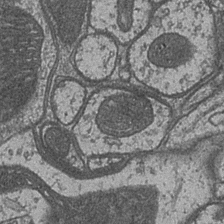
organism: Drosophila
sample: Optic medulla